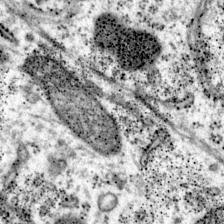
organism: Mouse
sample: Primary visual cortex